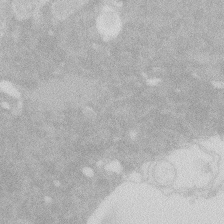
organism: Zebrafish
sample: Macrophage